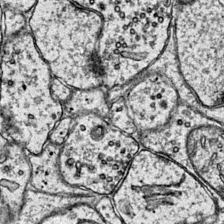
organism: Mouse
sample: Primary visual cortex